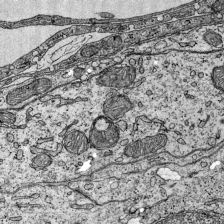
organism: Mouse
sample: Visual Cortex